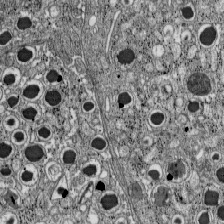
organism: C57BL Mouse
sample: Pancreatic islet